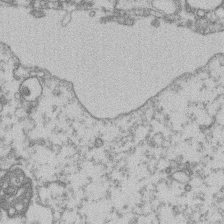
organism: Mouse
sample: T cell stromal cell synapse